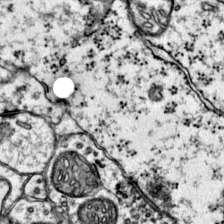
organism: Mouse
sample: Primary visual cortex